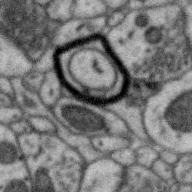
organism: Zebra finch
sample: Brain